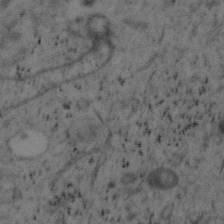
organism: Human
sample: HeLa cells